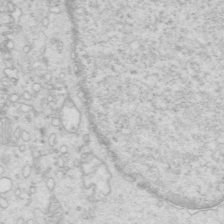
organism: Mouse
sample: Multiciliated cells